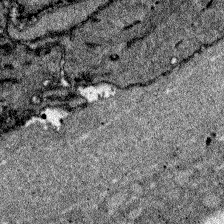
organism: Zebrafish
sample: Larval olfactory bulb